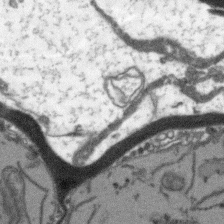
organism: Arabidopsis thaliana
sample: Root tip